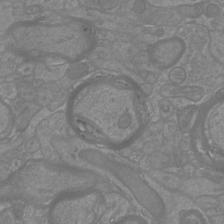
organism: Mouse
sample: Cortical neurons